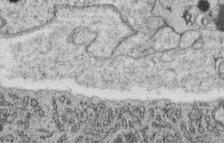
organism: C. elegans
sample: C. elegans oocyte; sperm cells